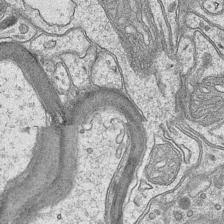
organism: Mouse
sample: CA1 Hippocampus